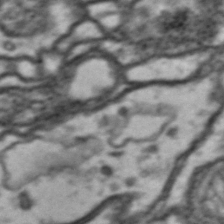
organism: Drosophila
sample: Brain